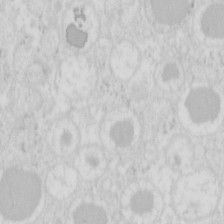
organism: Mouse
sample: Pancreas